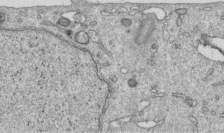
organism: Human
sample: Centriole in RPE cells